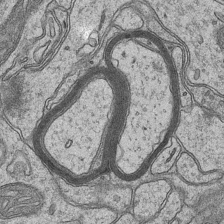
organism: Mouse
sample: CA1 Hippocampus